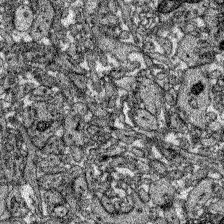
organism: Zebrafish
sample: Larval olfactory bulb